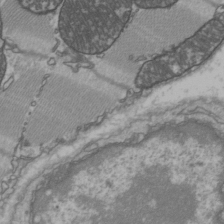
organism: C57BL Mouse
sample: Heart